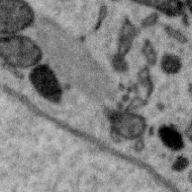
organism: Zebra finch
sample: Brain